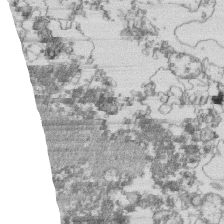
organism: Human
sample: HeLa cell HIV synapse